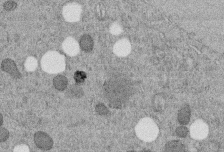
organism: C. elegans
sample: C. elegans embryo early stage